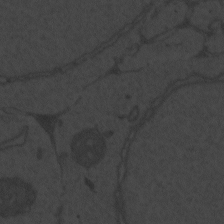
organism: Zebrafish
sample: Macrophage infected with Toxoplasma gondii